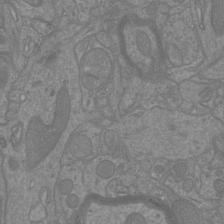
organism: Mouse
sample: Cortical neurons